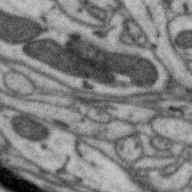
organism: Zebra finch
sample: Brain